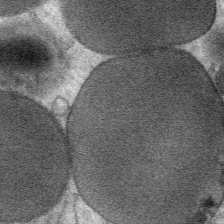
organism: Mouse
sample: Mouse Salivary gland